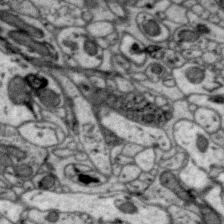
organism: Zebra finch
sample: Brain